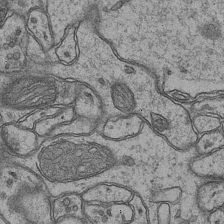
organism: Mouse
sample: CA1 Hippocampus